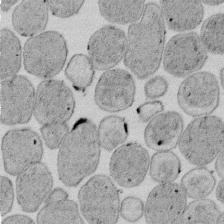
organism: E. coli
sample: Bacterial nucleoid